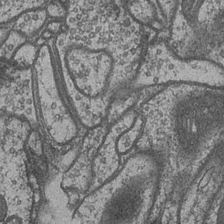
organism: Drosophila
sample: Optic medulla